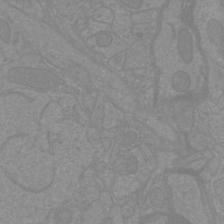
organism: Mouse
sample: Cortical neurons